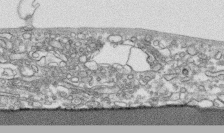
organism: Human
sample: CRL-1474